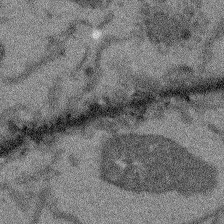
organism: Arabidopsis thaliana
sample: Root tip